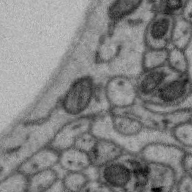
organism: Zebra finch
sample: Brain